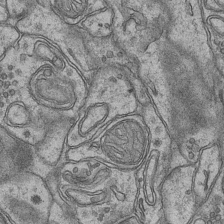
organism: Mouse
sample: CA1 Hippocampus